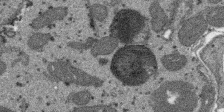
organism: Human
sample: Lung epithelial cells infected with SARS-CoV-2